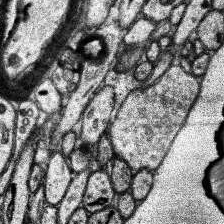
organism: Human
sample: Temporal Lobe